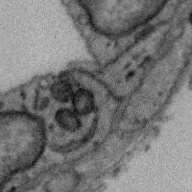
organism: Zebra finch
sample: Brain